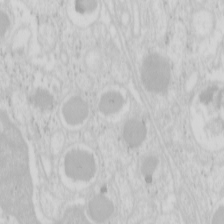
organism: Mouse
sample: Pancreas